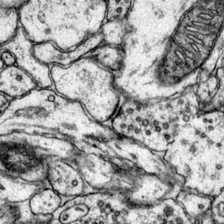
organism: Mouse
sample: Primary visual cortex